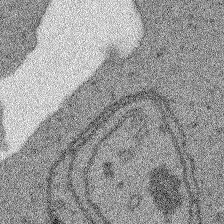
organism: Human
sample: HeLa cells